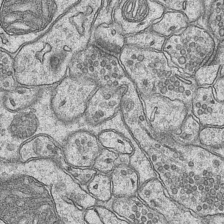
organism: Mouse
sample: CA1 Hippocampus